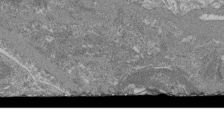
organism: Mouse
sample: Glomerulus